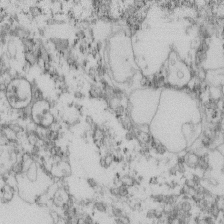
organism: Mouse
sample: Cilia; retinal pigment epithelium